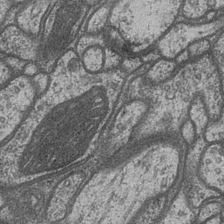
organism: Drosophila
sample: Optic medulla